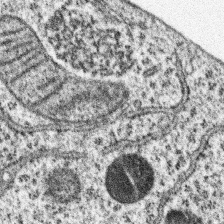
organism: Human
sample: HeLa cells